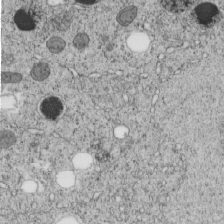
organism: C. elegans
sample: C. elegans embryo early stage